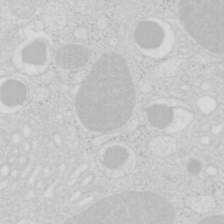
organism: Mouse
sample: Pancreas